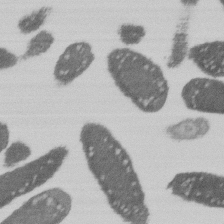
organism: E. coli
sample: Bacterial nucleoid